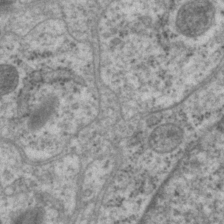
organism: P. pacificus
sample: Pharynx